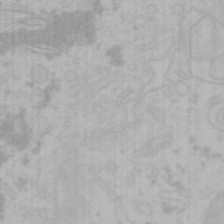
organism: Mouse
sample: Choroid plexus